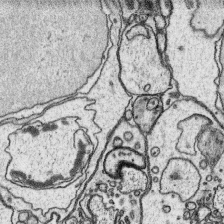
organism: Platynereis dumerilii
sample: Parapodia